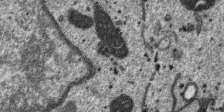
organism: Human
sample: Lung epithelial cells infected with SARS-CoV-2